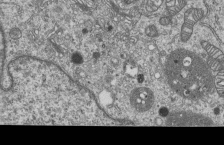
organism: Human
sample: MDA-MB-231 cells